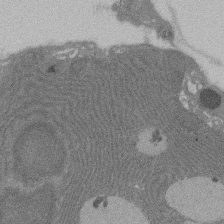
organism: Rat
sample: Salivary granule